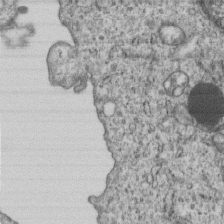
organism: Human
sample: MDA-MB-231 cells